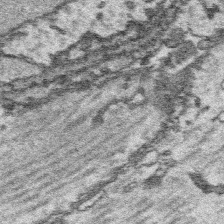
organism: Platynereis dumerilii